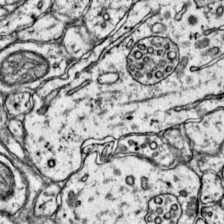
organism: Mouse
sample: Primary visual cortex